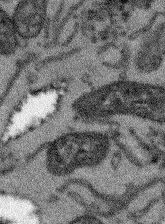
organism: Arabidopsis thaliana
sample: Root tip